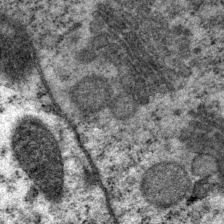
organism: P. pacificus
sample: Pharynx